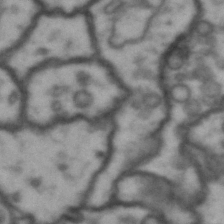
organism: Drosophila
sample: Brain